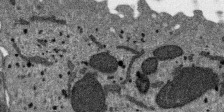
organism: Human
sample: Lung epithelial cells, uninfected (mock) control